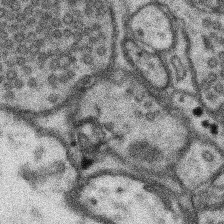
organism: Mouse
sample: Somatosensory cortex neuropil